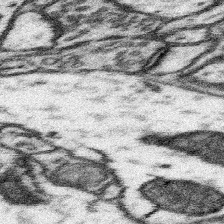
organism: Mouse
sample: Somatosensory cortex neuropil